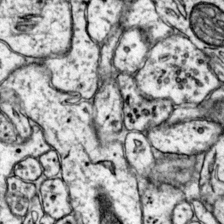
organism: Mouse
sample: Primary visual cortex